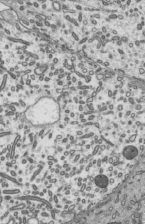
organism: Mouse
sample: Mouse epididymis efferent ductule cilia